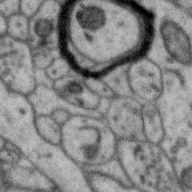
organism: Zebra finch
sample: Brain